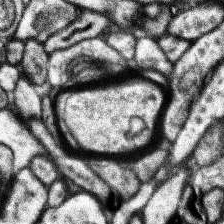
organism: Human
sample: Temporal Lobe